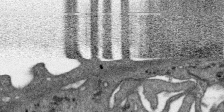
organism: Human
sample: Lung epithelial cells, uninfected (mock) control